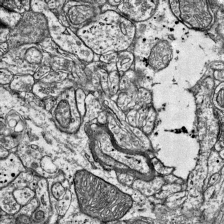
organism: Mouse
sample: Visual Cortex